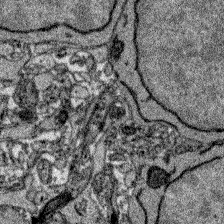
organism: Zebrafish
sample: Larval olfactory bulb